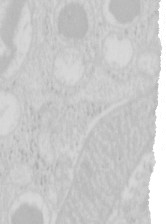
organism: Mouse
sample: Pancreas